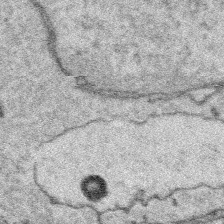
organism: Platynereis dumerilii